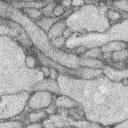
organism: Rabbit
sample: Retina